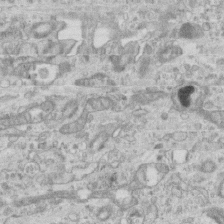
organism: Mouse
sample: Centriole in ependymal cells